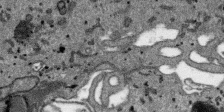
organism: Human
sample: Lung epithelial cells, uninfected (mock) control